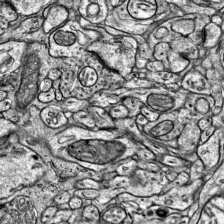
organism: Mouse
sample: Visual Cortex